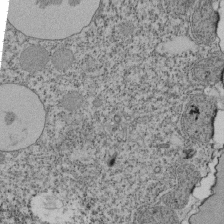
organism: Tetrahymena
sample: Cilia in tetrahymena